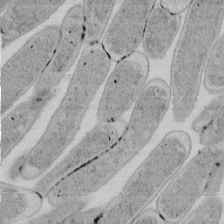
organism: E. coli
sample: Bacterial nucleoid